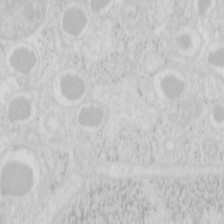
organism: Mouse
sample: Pancreas